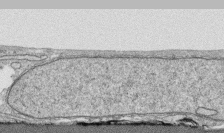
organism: Human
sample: CRL-1474